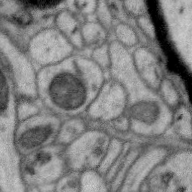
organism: Zebra finch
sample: Brain